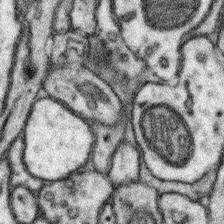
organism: Mouse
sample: Somatosensory cortex neuropil